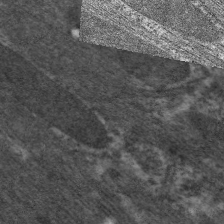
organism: C. elegans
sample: Pharynx